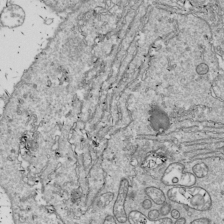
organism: Drosophila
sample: Cell division; meiosis; drosophila spermatocytes